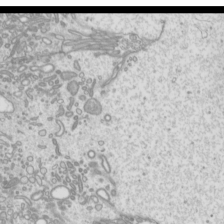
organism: Mouse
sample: Cilia; mouse epididymis